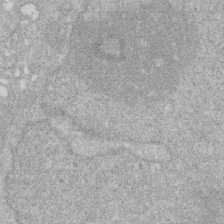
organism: Human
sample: HIV infected U937 cells